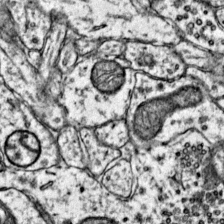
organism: Mouse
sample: Primary visual cortex